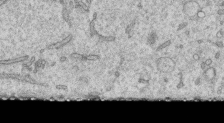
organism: Human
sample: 1205lu cells